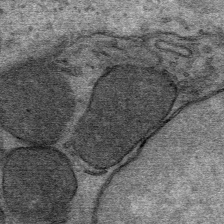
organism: Mouse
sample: Mouse Salivary gland